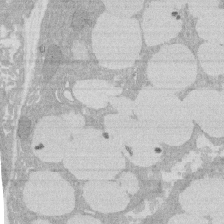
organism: Rat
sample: Salivary granule